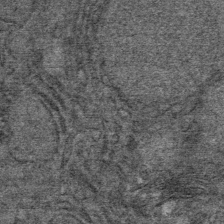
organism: Mouse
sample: Mouse Salivary gland